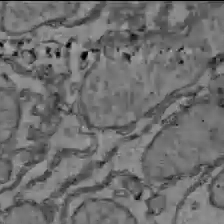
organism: C57BL Mouse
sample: Liver